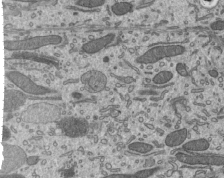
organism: Mouse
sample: Mouse epididymis efferent ductule cilia